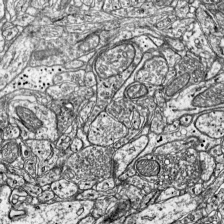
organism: Mouse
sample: Visual Cortex